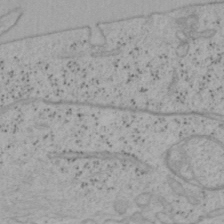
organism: Human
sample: HeLa cells